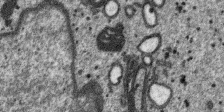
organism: Human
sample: Lung epithelial cells infected with SARS-CoV-2